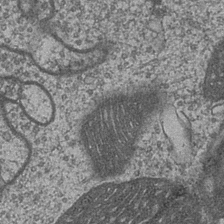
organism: Drosophila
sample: Optic medulla